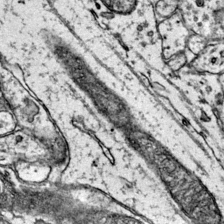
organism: Mouse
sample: Primary visual cortex